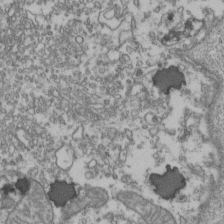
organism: Human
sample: Activated Jurkat CD4+ T cells